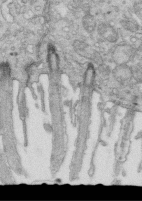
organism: Mouse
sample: Multiciliated cells